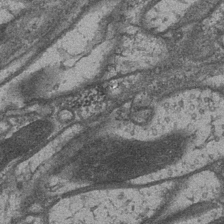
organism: Drosophila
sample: Optic medulla